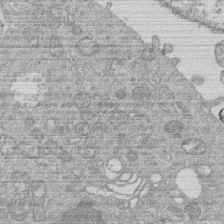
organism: Human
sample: Macrophage cells